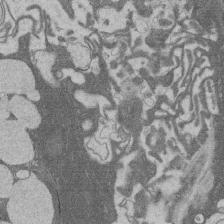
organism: Rat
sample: Salivary granule